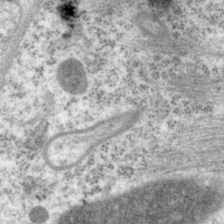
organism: P. pacificus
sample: Pharynx